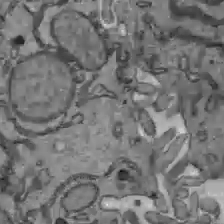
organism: C57BL Mouse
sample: Liver